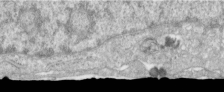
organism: Human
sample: Centriole in RPE cells